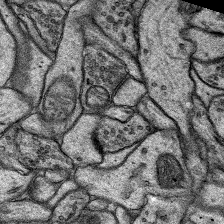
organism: Rat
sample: Hippocampus